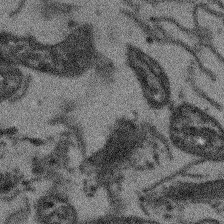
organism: Arabidopsis thaliana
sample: Root tip